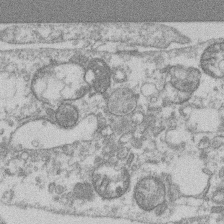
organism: Mouse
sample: T cell stromal cell synapse